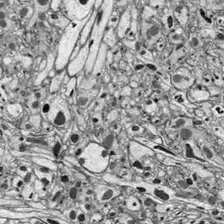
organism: Drosophila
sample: Optic lobe